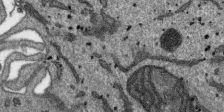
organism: Human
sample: Lung epithelial cells, uninfected (mock) control